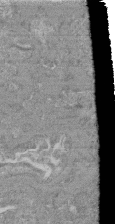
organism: Mouse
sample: Glomerulus